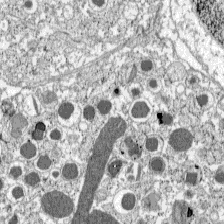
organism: C57BL Mouse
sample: Pancreatic islet